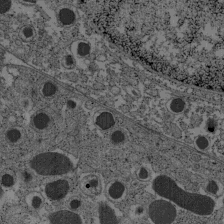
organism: C57BL Mouse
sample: Pancreatic islet